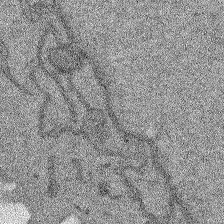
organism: Human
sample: HeLa cells